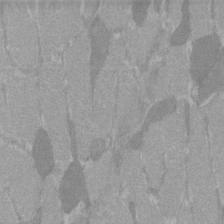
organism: C57BL Mouse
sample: Tibialis anterior muscle cell